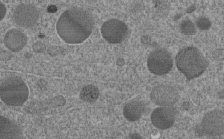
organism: C. elegans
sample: C. elegans embryo early stage